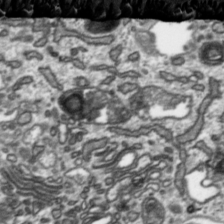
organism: Toxoplasma gondii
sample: Parasites in a vacuole inside a host cell